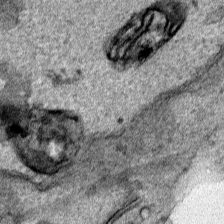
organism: Human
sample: Mitochondria in HCT116 cells